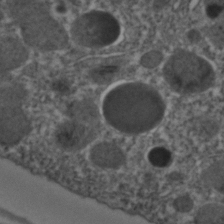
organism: C. elegans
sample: C. elegans embryo